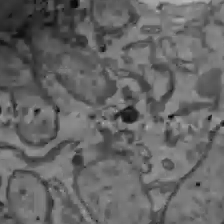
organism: C57BL Mouse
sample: Liver